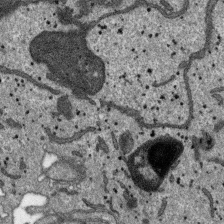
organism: Human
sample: Lung epithelial cells, uninfected (mock) control